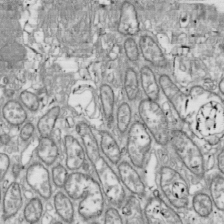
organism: Drosophila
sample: Cell division; meiosis; drosophila spermatocytes